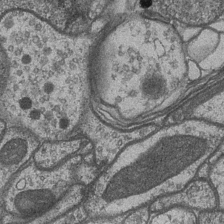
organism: Drosophila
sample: Optic medulla